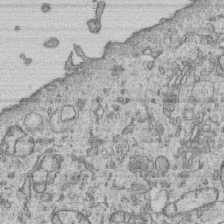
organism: Human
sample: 1205lu cells